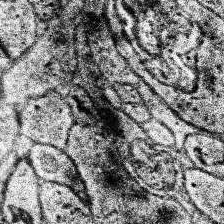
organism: Human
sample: Temporal Lobe